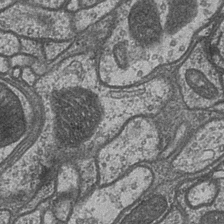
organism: Drosophila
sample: Optic medulla